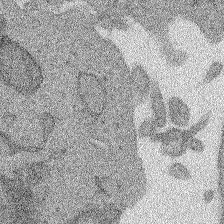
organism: Human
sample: HeLa cells